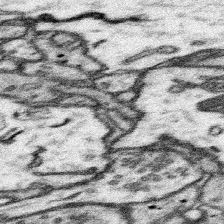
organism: Mouse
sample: Somatosensory cortex neuropil